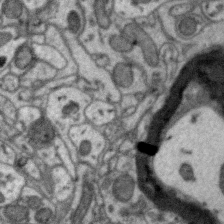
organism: Zebra finch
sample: Brain